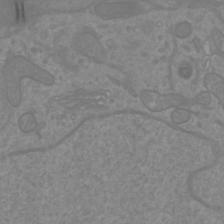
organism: Mouse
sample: Cortical neurons